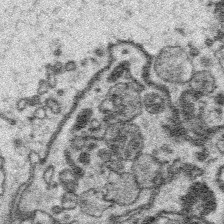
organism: Platynereis dumerilii